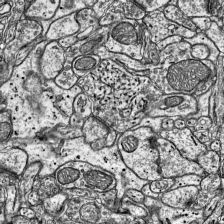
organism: Mouse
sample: Visual Cortex